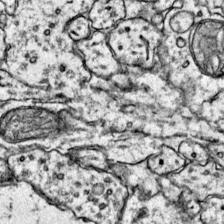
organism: Mouse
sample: Primary visual cortex